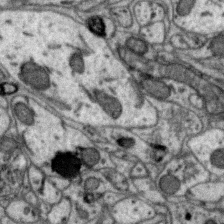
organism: Zebra finch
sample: Brain